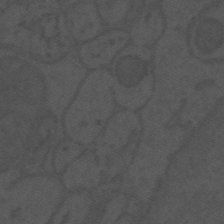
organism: Mouse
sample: Suprachiasmatic nucleus